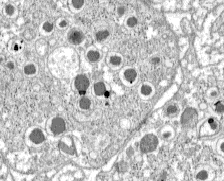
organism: C57BL Mouse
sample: Pancreatic islet